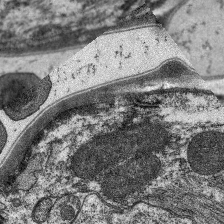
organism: C. elegans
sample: Pharynx